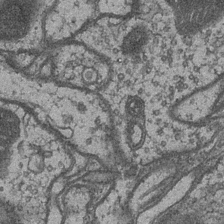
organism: Drosophila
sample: Optic medulla